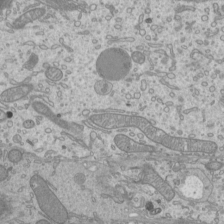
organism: Mouse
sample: Cilia; mouse epididymis